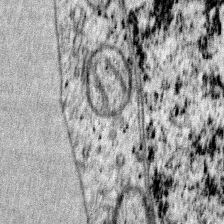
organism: Human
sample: HeLa cells